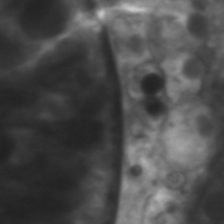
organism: C. elegans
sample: Pharynx